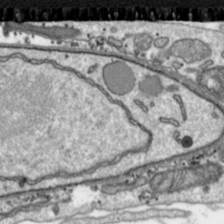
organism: Toxoplasma gondii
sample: Parasites in a vacuole inside a host cell